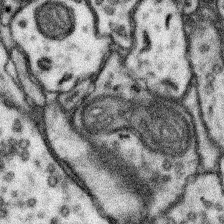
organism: Mouse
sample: Somatosensory cortex neuropil